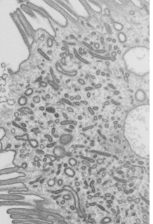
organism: Mouse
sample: Mouse epididymis efferent ductule cilia